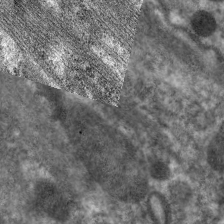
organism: C. elegans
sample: Pharynx